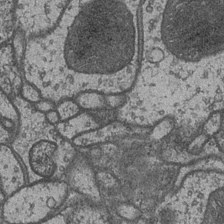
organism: Drosophila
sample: Optic medulla